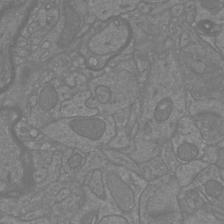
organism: Mouse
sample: Cortical neurons